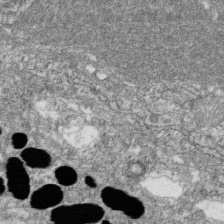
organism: Zebrafish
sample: Cilia; retinal pigment epithelium